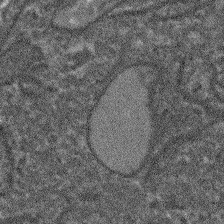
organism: Arabidopsis thaliana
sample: Root tip